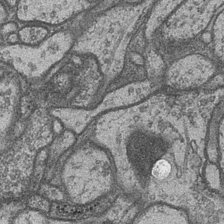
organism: Drosophila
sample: Optic medulla